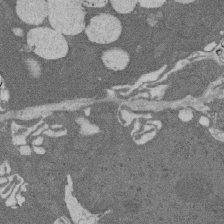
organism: Rat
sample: Salivary granule